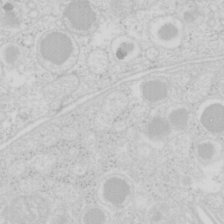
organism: Mouse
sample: Pancreas